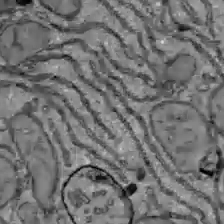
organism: C57BL Mouse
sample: Liver